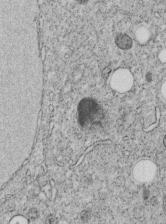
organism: C. elegans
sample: C. elegans embryo early stage